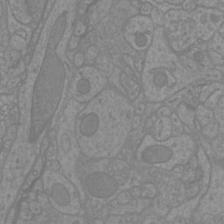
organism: Mouse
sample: Cortical neurons